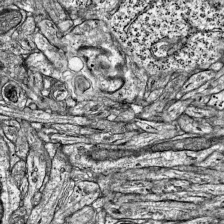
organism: Mouse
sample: Visual Cortex